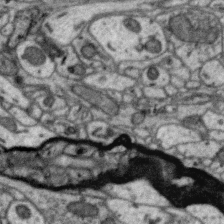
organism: Zebra finch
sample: Brain